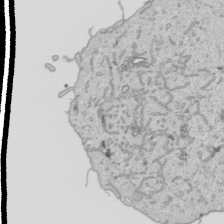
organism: Human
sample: Mitochondria in HCT116 cells